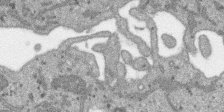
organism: Human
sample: Lung epithelial cells infected with SARS-CoV-2